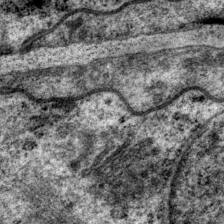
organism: P. pacificus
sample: Pharynx